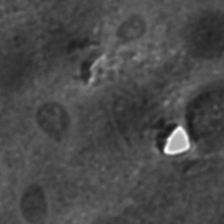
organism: C. elegans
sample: C. elegans embryo